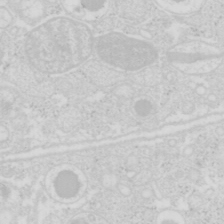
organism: Mouse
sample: Pancreas